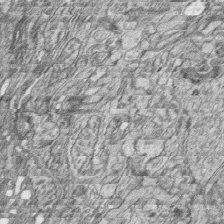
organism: Zebrafish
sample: synaptic ribbons in rod cells and cone cells